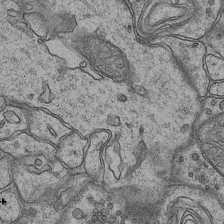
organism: Mouse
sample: CA1 Hippocampus